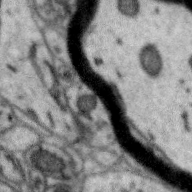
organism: Zebra finch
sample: Brain